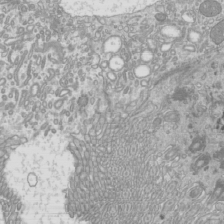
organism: Mouse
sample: Cilia; mouse epididymis